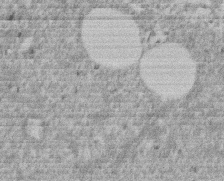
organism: Mouse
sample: Dividing mouse embryo 1 cell stage